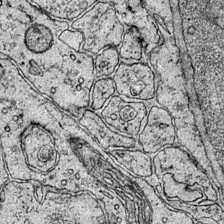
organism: Mouse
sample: Primary visual cortex